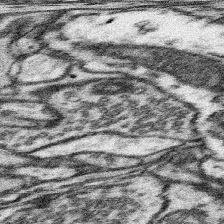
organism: Mouse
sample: Somatosensory cortex neuropil